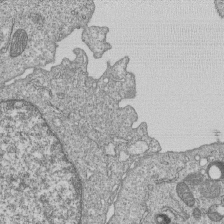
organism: Human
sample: MDA-MB-231 cells